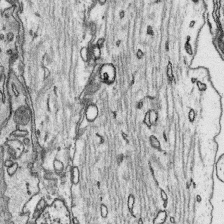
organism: Platynereis dumerilii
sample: Parapodia